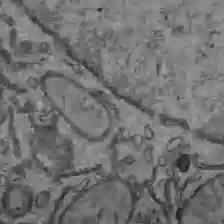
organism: C57BL Mouse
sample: Liver